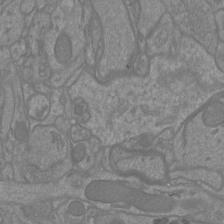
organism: Mouse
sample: Cortical neurons